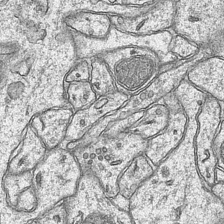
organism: Mouse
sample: CA1 Hippocampus